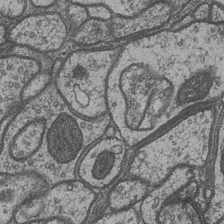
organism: Drosophila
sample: Optic medulla